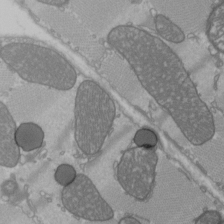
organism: C57BL Mouse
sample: Heart